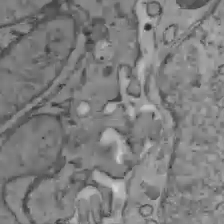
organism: C57BL Mouse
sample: Liver